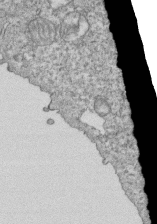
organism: Human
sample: HeLa cell HIV synapse